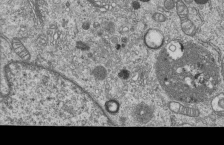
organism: Human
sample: MDA-MB-231 cells